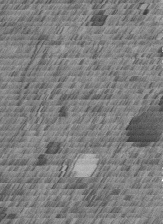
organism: C. elegans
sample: C. elegans embryo early stage